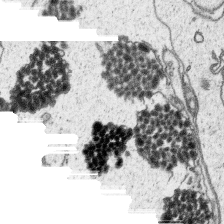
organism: Platynereis dumerilii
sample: Parapodia